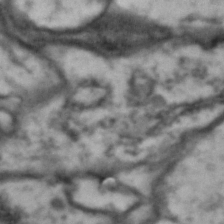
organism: Drosophila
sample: Brain